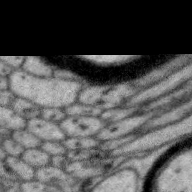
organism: Zebra finch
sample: Brain